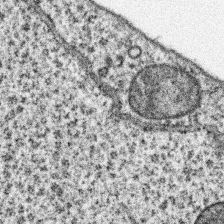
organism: Human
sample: HeLa cells